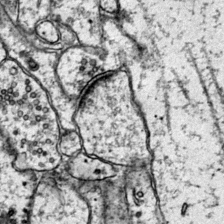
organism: Mouse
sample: Primary visual cortex